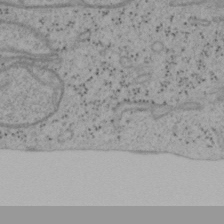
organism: Human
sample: HeLa cells